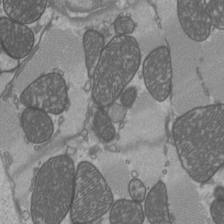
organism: C57BL Mouse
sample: Heart